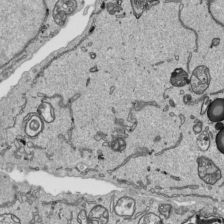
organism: Human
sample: Mitochondria in HCT116 cells